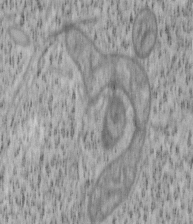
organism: Human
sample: HeLa cells